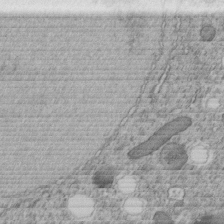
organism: C. elegans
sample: C. elegans embryo early stage